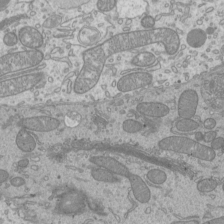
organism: Mouse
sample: Cilia; mouse epididymis